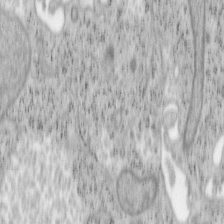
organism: Human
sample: HeLa cells